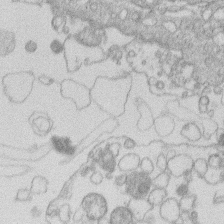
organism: Human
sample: Macrophage cells